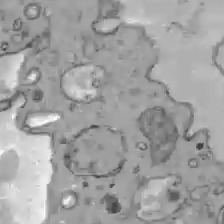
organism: C57BL Mouse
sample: Liver